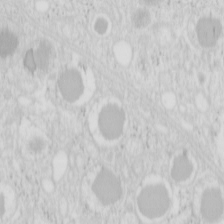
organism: Mouse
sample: Pancreas